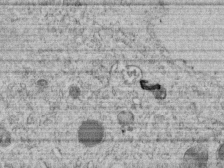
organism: C. elegans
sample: C. elegans embryo early stage